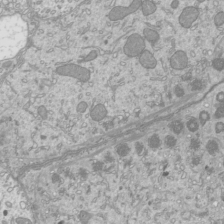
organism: Mouse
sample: Cilia; mouse epididymis